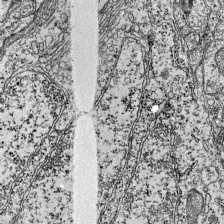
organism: Mouse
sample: Visual Cortex